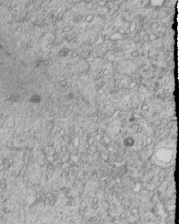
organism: C. elegans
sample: C. elegans embryo early stage